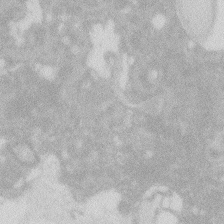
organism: Zebrafish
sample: Macrophage